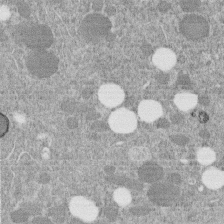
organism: C. elegans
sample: C. elegans embryo early stage